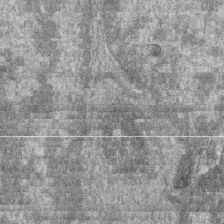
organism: Zebrafish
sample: Cilia; retinal pigment epithelium